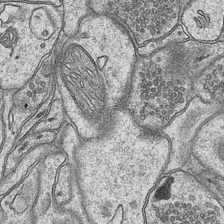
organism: Mouse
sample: CA1 Hippocampus